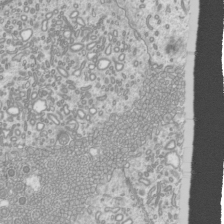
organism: Mouse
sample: Cilia; mouse epididymis